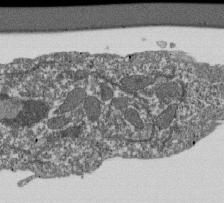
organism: Dictyostelium discoideum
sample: Dictyostelium multivesicular bodies